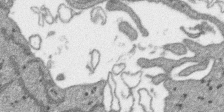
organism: Human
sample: Lung epithelial cells infected with SARS-CoV-2